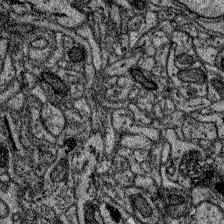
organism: Zebrafish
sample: Larval olfactory bulb